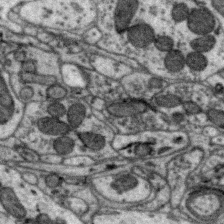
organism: Zebra finch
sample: Brain